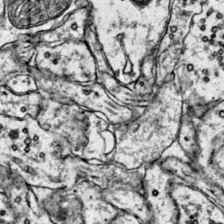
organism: Mouse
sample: Primary visual cortex